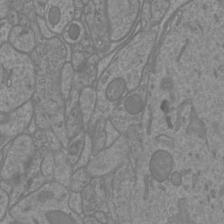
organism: Mouse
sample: Cortical neurons